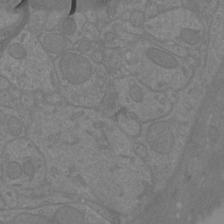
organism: Mouse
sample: Cortical neurons